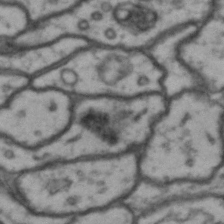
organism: Drosophila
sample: Brain